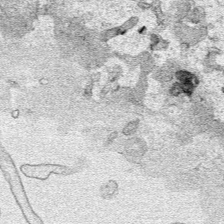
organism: Human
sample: Mitochondria in HCT116 cells